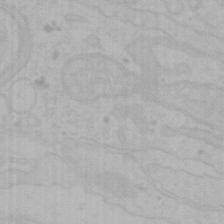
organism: Mouse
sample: Choroid plexus